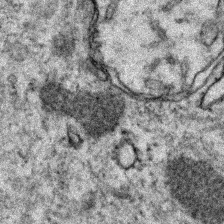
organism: Zebrafish